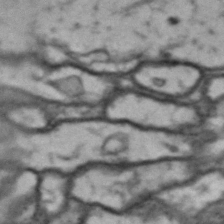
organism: Drosophila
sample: Brain